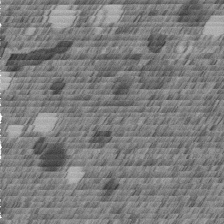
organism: C. elegans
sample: C. elegans embryo early stage